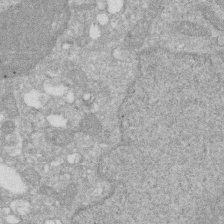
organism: Human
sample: HIV infected U937 cells